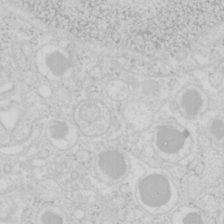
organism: Mouse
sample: Pancreas